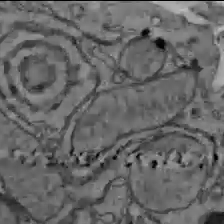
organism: C57BL Mouse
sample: Liver